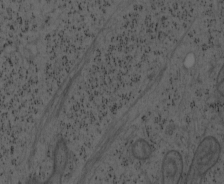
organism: Mouse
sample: OT-I killer T cells with ID8 ovarian cancer cells